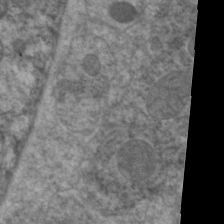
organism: C. elegans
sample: Pharynx